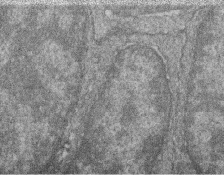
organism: Zebrafish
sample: Cilia; retinal pigment epithelium